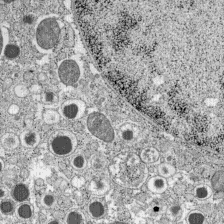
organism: C57BL Mouse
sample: Pancreatic islet